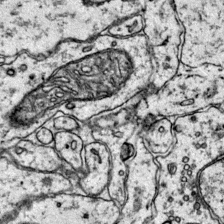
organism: Mouse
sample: Primary visual cortex